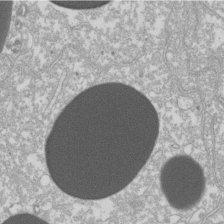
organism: Xenopus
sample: Cilia; centrioles in frog embryo cells